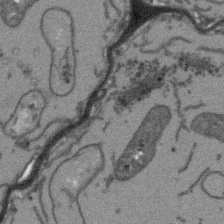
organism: Arabidopsis thaliana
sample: Root tip